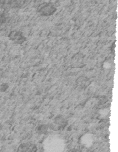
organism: C. elegans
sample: C. elegans embryo early stage